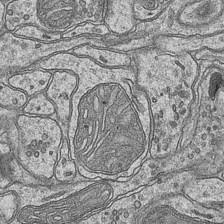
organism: Mouse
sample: CA1 Hippocampus